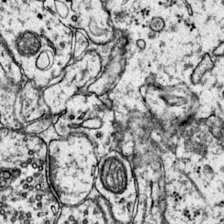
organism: Mouse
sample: Primary visual cortex